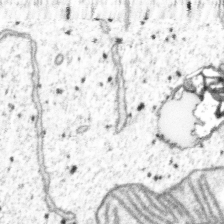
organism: Human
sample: HeLa cells